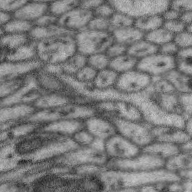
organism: Zebra finch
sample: Brain